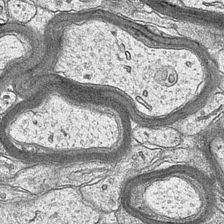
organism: Mouse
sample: CA1 Hippocampus